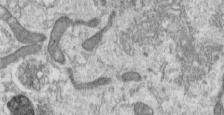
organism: Human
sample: Centriole in RPE cells